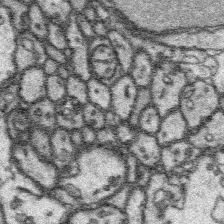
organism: Platynereis dumerilii